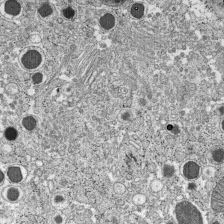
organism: C57BL Mouse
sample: Pancreatic islet